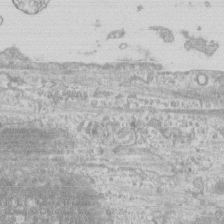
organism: Human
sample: CRL-1474